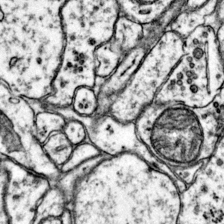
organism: Mouse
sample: Primary visual cortex